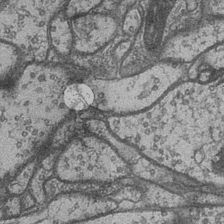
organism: Drosophila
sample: Optic medulla